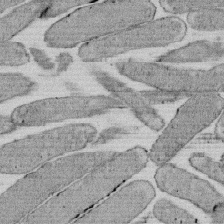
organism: E. coli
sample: Bacterial nucleoid